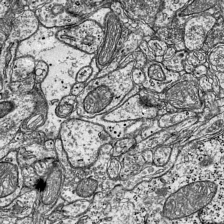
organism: Mouse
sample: Visual Cortex